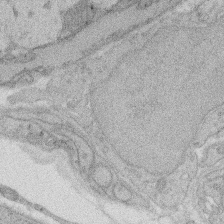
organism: Rat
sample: Salivary granule